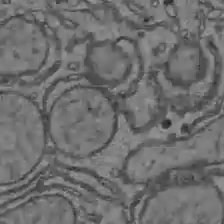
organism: C57BL Mouse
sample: Liver